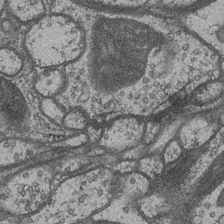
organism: Drosophila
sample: Optic medulla